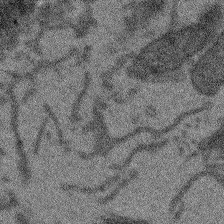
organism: Arabidopsis thaliana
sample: Root tip